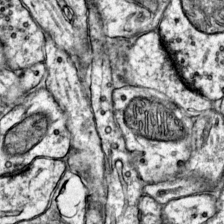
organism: Mouse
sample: Primary visual cortex